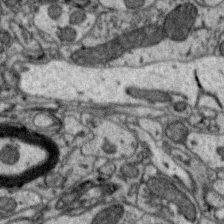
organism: Zebra finch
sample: Brain